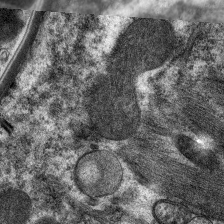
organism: C. elegans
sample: Pharynx